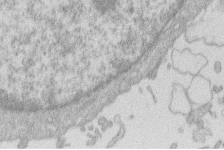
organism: Human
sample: Macrophage cells